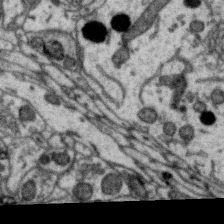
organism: Zebra finch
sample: Brain